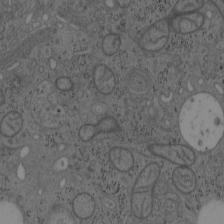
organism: Mouse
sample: OT-I killer T cells with ID8 ovarian cancer cells